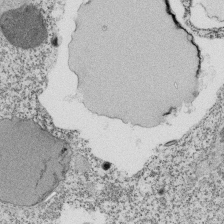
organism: Tetrahymena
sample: Cilia in tetrahymena